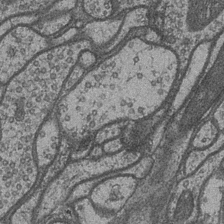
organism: Drosophila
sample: Optic medulla